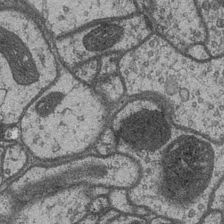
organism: Drosophila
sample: Optic medulla